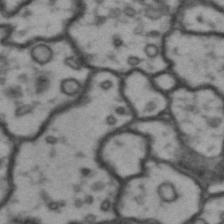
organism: Drosophila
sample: Brain